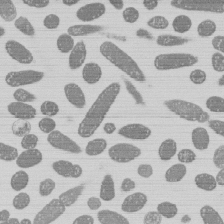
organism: E. coli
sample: Bacterial nucleoid